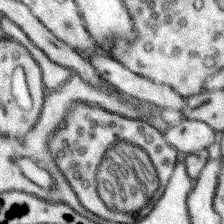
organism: Mouse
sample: Somatosensory cortex neuropil